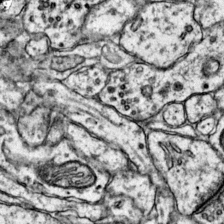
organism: Mouse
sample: Primary visual cortex